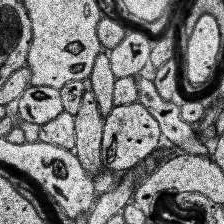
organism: Human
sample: Temporal Lobe